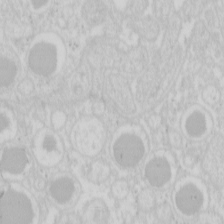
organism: Mouse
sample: Pancreas